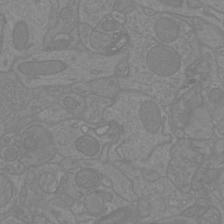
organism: Mouse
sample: Cortical neurons